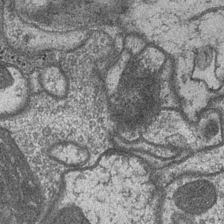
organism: Drosophila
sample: Optic medulla